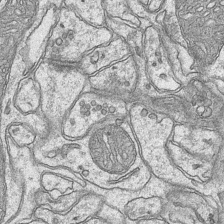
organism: Mouse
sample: CA1 Hippocampus